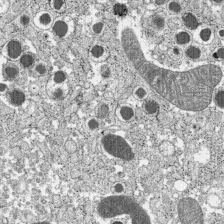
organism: C57BL Mouse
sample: Pancreatic islet